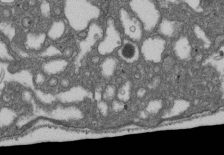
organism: Drosophila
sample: Nephrocyte